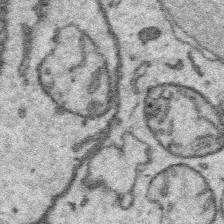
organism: Platynereis dumerilii